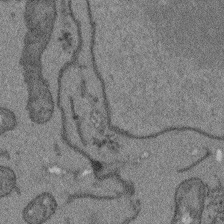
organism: Arabidopsis thaliana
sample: Root tip